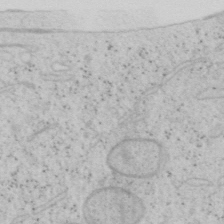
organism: Human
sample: HeLa cells